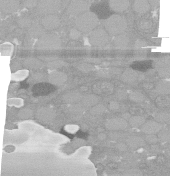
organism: C. elegans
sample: C. elegans oocyte; sperm cells